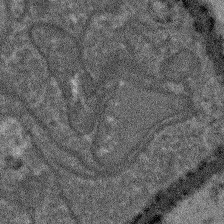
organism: Arabidopsis thaliana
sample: Root tip